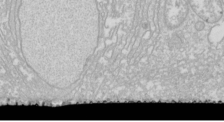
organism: Drosophila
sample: Cell division; meiosis; drosophila spermatocytes